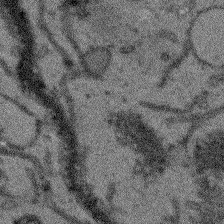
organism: Arabidopsis thaliana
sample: Root tip